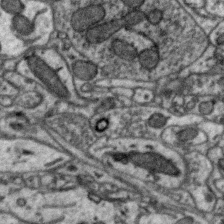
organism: Zebra finch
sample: Brain